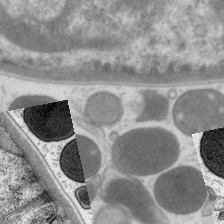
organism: C. elegans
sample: Pharynx